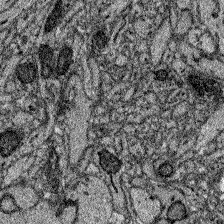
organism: Zebrafish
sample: Larval olfactory bulb